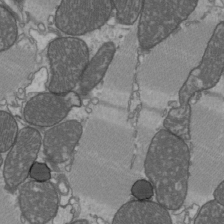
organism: C57BL Mouse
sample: Heart